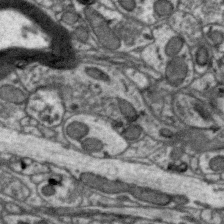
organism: Zebra finch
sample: Brain